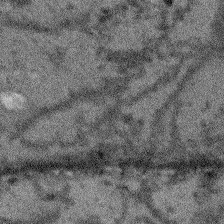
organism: Arabidopsis thaliana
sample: Root tip